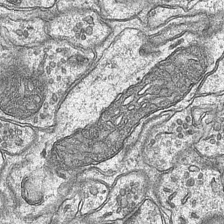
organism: Mouse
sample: CA1 Hippocampus